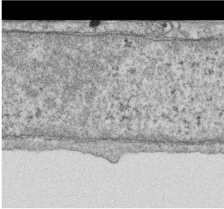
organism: Human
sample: Centriole in RPE cells